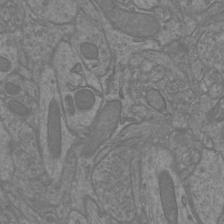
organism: Mouse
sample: Cortical neurons